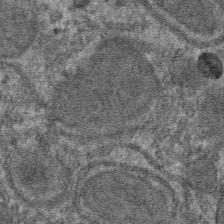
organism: Mouse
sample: Mouse hepatocytes